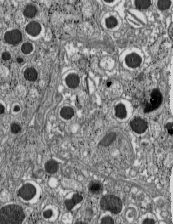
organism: C57BL Mouse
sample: Pancreatic islet